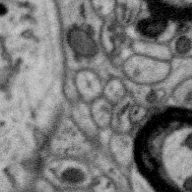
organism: Zebra finch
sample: Brain